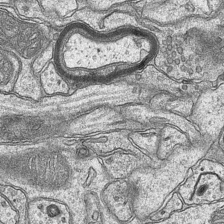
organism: Mouse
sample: CA1 Hippocampus